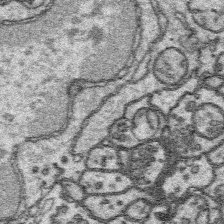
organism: Platynereis dumerilii